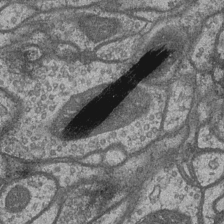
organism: Drosophila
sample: Optic medulla